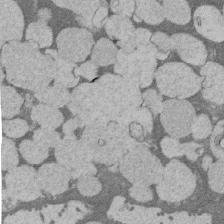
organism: Rat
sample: Salivary granule